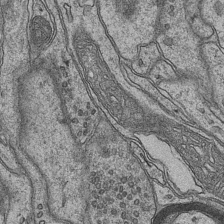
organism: Mouse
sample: CA1 Hippocampus